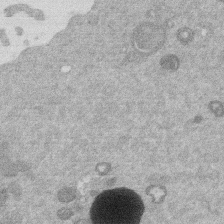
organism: Mouse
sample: Dividing mouse embryo 1 cell stage